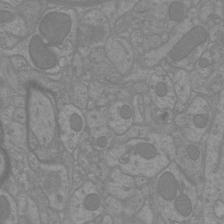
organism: Mouse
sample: Cortical neurons